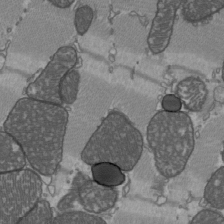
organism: C57BL Mouse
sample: Heart